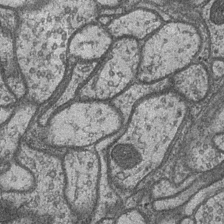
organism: Drosophila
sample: Optic medulla